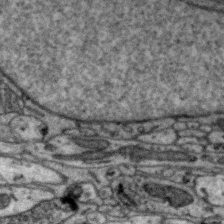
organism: Zebra finch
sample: Brain